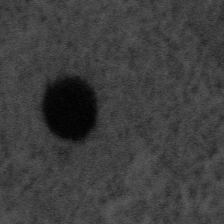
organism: Tuwongella immobilis